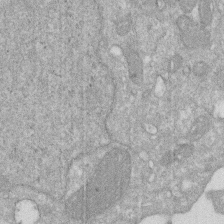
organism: Human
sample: HIV infected U937 cells